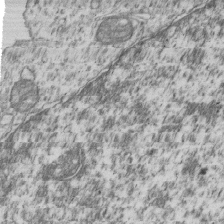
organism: Human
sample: MDA-MB-231 cells